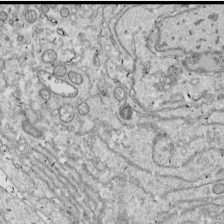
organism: Drosophila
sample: Cell division; meiosis; drosophila spermatocytes